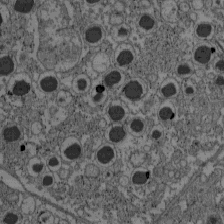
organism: C57BL Mouse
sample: Pancreatic islet